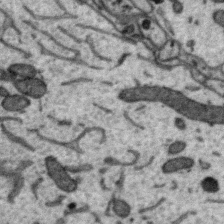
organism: Zebra finch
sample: Brain